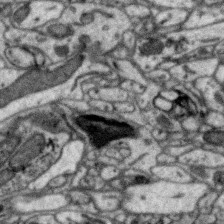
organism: Zebra finch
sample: Brain